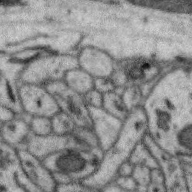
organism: Zebra finch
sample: Brain